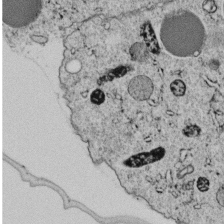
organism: C. elegans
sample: C. elegans embryo early stage